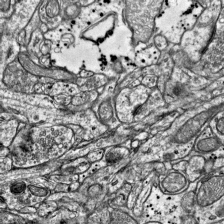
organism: Mouse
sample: Visual Cortex